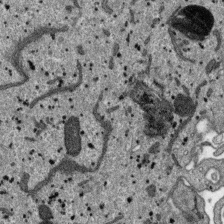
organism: Human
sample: Lung epithelial cells, uninfected (mock) control